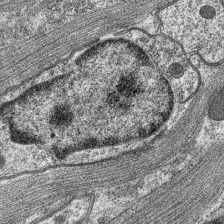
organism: C. elegans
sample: Pharynx